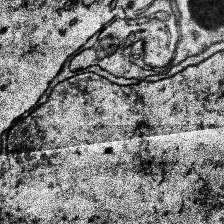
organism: Human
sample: Temporal Lobe